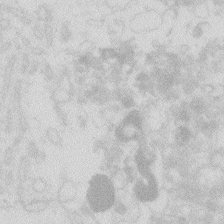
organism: Zebrafish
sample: Macrophage